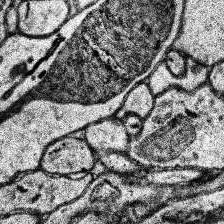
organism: Human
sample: Temporal Lobe